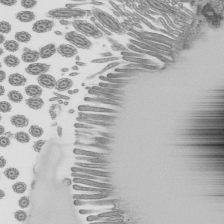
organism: Mouse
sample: Mouse epididymis efferent ductule cilia